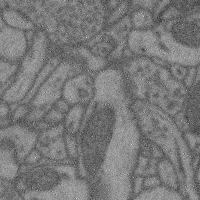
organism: Mouse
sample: Cerebral cortex